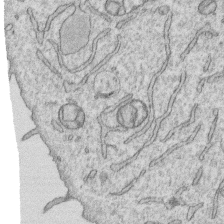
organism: Human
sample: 1205lu cells